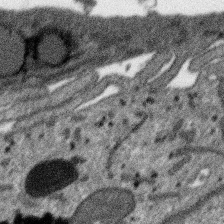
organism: Human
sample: Lung epithelial cells infected with SARS-CoV-2